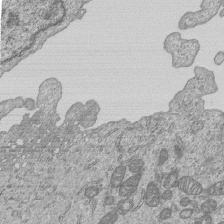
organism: Human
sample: MDA-MB-231 cells